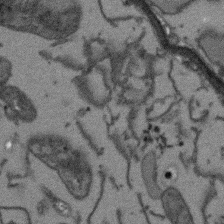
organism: Arabidopsis thaliana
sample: Root tip